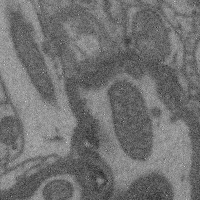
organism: Mouse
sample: Cerebral cortex